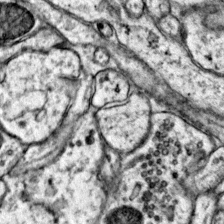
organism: Mouse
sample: Primary visual cortex